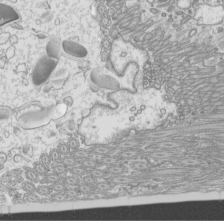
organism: Mouse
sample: Cilia; mouse epididymis